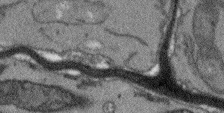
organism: Arabidopsis thaliana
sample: Root tip